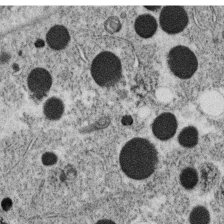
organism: C. elegans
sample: C. elegans oocyte; sperm cells